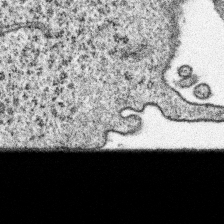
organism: Human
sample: HeLa cells